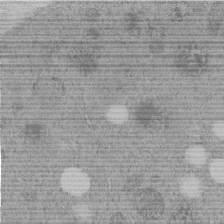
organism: C. elegans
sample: C. elegans embryo early stage